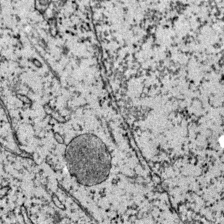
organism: Mouse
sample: Primary visual cortex